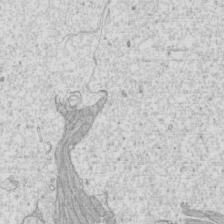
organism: Mouse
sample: Cilia; mouse epididymis